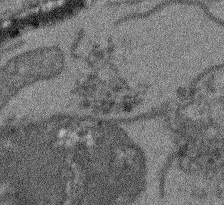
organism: Arabidopsis thaliana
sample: Root tip